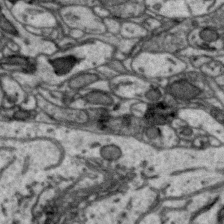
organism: Zebra finch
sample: Brain